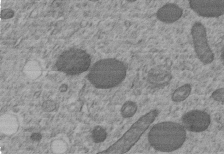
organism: C. elegans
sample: C. elegans embryo early stage